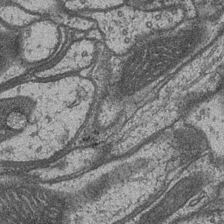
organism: Drosophila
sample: Optic medulla